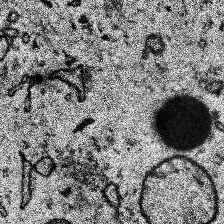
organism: Human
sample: Temporal Lobe